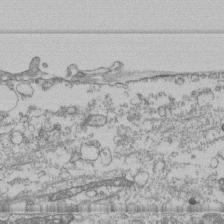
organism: Human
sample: Fibroblast cells